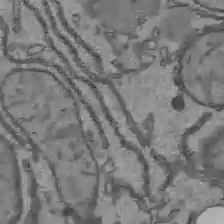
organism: C57BL Mouse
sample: Liver